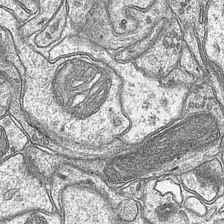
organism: Mouse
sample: CA1 Hippocampus